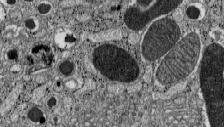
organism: C57BL Mouse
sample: Pancreatic islet